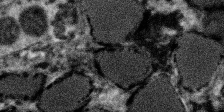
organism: Human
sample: Lung epithelial cells infected with SARS-CoV-2